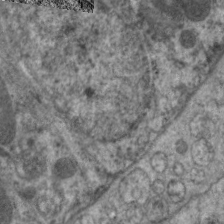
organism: C. elegans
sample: Pharynx